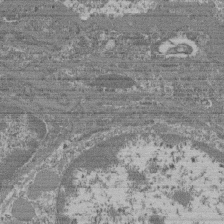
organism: Mouse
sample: Glomerulus